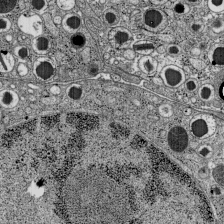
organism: C57BL Mouse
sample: Pancreatic islet